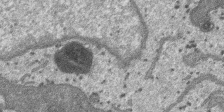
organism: Human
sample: Lung epithelial cells infected with SARS-CoV-2